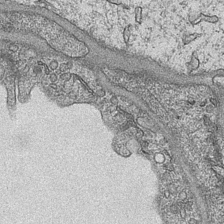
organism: Mouse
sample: CA1 Hippocampus